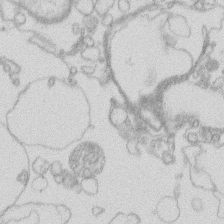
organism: Human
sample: Macrophage cells